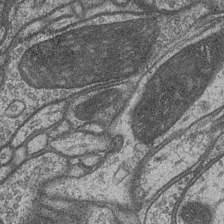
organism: Drosophila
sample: Optic medulla